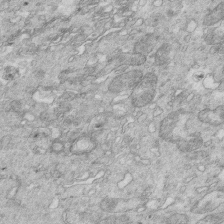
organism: Mouse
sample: Multiciliated cells